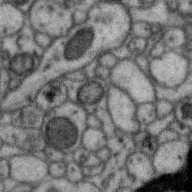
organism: Zebra finch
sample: Brain